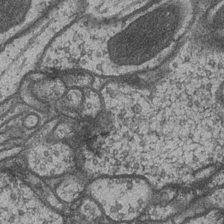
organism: Drosophila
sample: Optic medulla